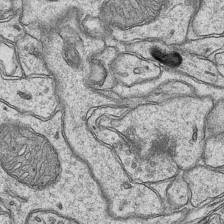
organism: Mouse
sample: CA1 Hippocampus